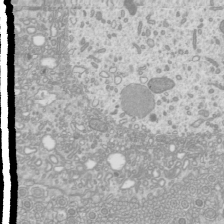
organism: Mouse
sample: Cilia; mouse epididymis